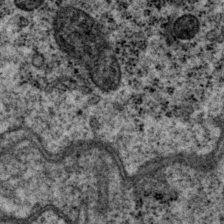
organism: P. pacificus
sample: Pharynx